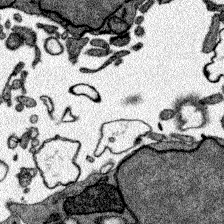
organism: Zebrafish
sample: Larval olfactory bulb